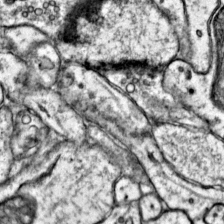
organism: Mouse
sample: Primary visual cortex